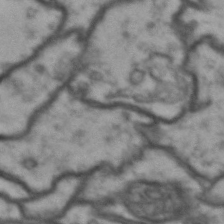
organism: Drosophila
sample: Brain